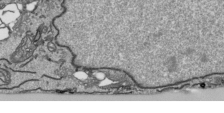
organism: Human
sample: Mitochondria in HCT116 cells